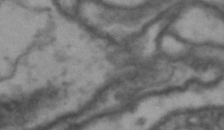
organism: Drosophila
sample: Brain